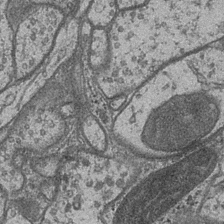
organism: Drosophila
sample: Optic medulla